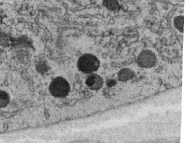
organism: C. elegans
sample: C. elegans oocyte; sperm cells